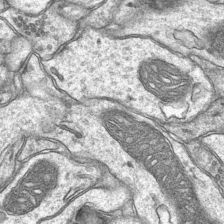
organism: Mouse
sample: CA1 Hippocampus